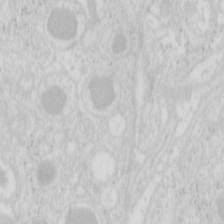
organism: Mouse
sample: Pancreas